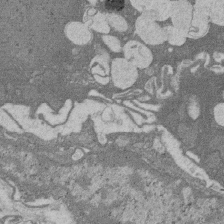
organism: Rat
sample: Salivary granule